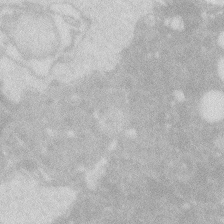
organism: Zebrafish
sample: Macrophage